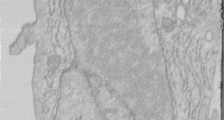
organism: Human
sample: Centriole in RPE cells